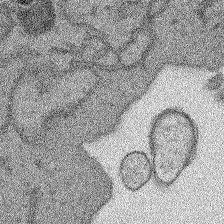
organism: Human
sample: HeLa cells